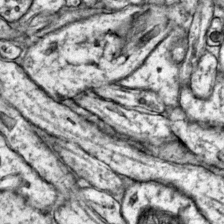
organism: Mouse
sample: Primary visual cortex